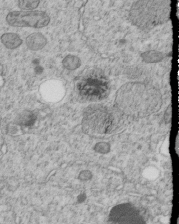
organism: C. elegans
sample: C. elegans embryo early stage